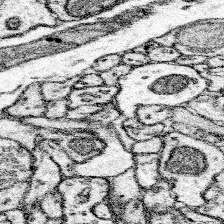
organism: Mouse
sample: Somatosensory cortex neuropil